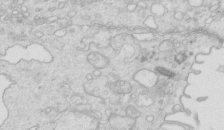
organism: Mouse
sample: Multiciliated cells